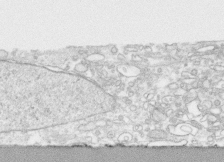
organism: Human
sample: CRL-1474